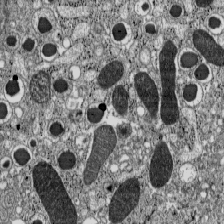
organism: C57BL Mouse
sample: Pancreatic islet